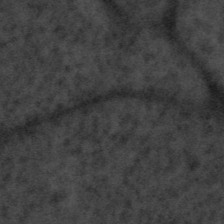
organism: Tuwongella immobilis